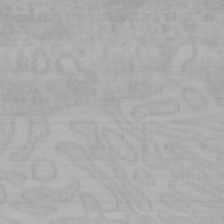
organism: Mouse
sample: Choroid plexus